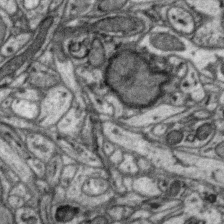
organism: Zebra finch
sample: Brain